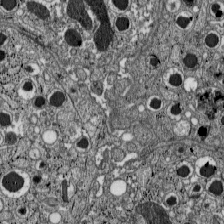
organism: C57BL Mouse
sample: Pancreatic islet